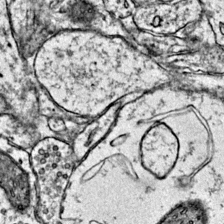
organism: Mouse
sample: Primary visual cortex